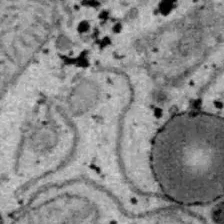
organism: Mouse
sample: Liver from an obese (ob/ob) mouse